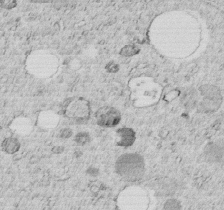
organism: C. elegans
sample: C. elegans embryo early stage